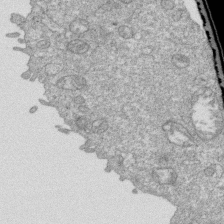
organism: Human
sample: HeLa cell HIV synapse